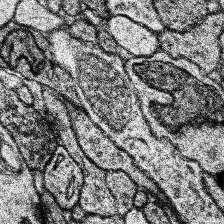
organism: Human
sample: Temporal Lobe